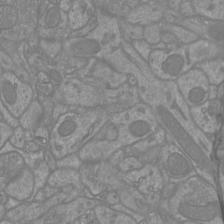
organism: Mouse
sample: Cortical neurons